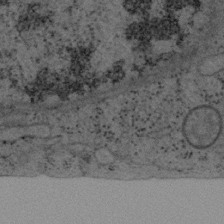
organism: Human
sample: HeLa cells